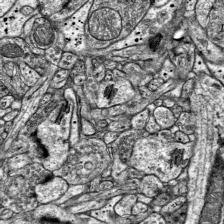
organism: Mouse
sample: Visual Cortex